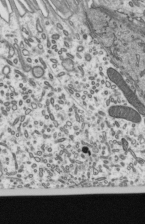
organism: Mouse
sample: Mouse epididymis efferent ductule cilia